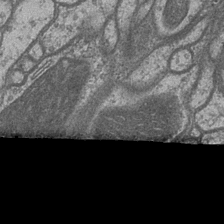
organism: Drosophila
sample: Optic medulla